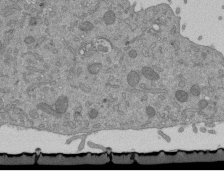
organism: Mouse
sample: ED-1 cell nuclei; centrioles